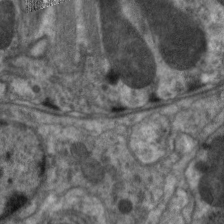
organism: C. elegans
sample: Pharynx